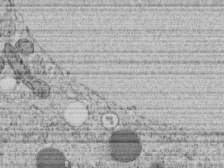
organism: C. elegans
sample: C. elegans embryo early stage